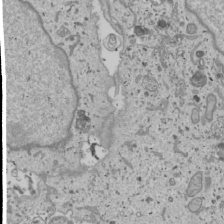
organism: Human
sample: Mitochondria in U2OS cells